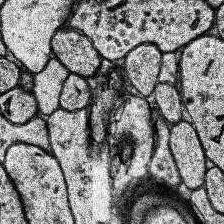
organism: Human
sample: Temporal Lobe